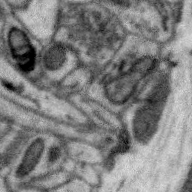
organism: Zebra finch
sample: Brain